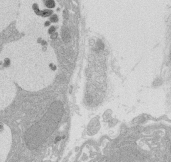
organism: Rat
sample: Salivary granule